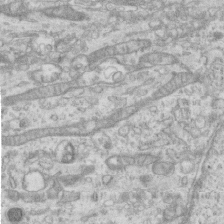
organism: Mouse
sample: Centriole in ependymal cells